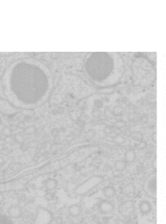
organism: Mouse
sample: Pancreas